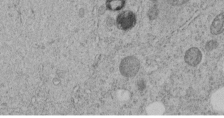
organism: C. elegans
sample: C. elegans embryo early stage